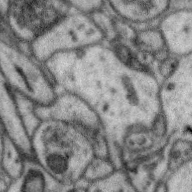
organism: Zebra finch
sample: Brain